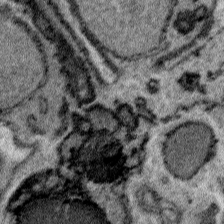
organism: Plasmodium falciparum